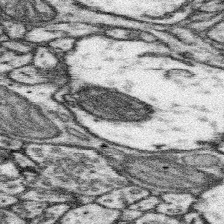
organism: Mouse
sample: Somatosensory cortex neuropil